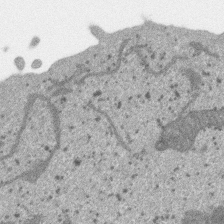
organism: Human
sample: Lung epithelial cells infected with SARS-CoV-2